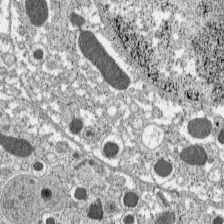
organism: C57BL Mouse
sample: Pancreatic islet